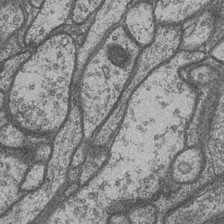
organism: Drosophila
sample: Optic medulla